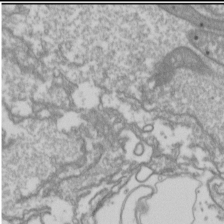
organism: Drosophila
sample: Cell division; meiosis; drosophila spermatocytes